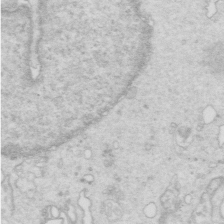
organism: Mouse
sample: Multiciliated cells